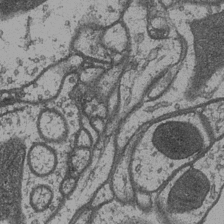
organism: Drosophila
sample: Optic medulla